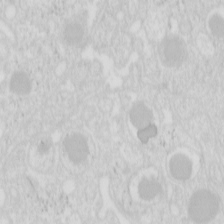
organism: Mouse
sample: Pancreas